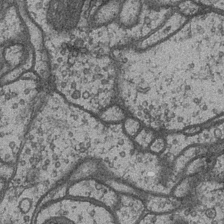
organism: Drosophila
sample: Optic medulla